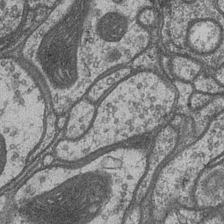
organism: Drosophila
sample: Optic medulla